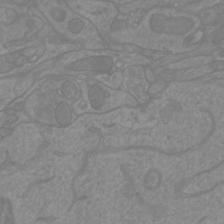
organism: Mouse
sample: Cortical neurons